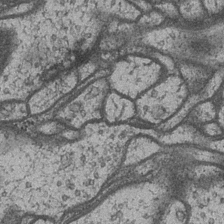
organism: Drosophila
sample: Optic medulla